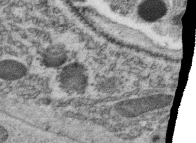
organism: C. elegans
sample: C. elegans oocyte; sperm cells